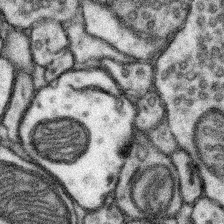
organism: Mouse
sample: Somatosensory cortex neuropil